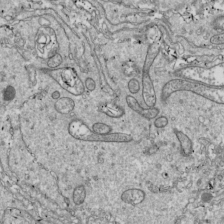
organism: Drosophila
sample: Cell division; meiosis; drosophila spermatocytes